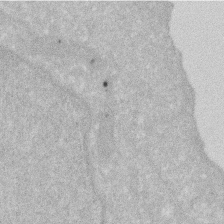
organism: Human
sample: HIV infected U937 cells